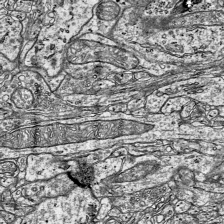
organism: Mouse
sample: Visual Cortex